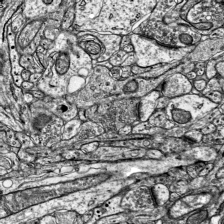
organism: Mouse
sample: Visual Cortex